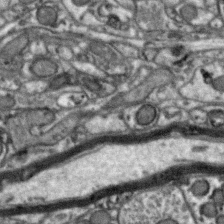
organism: Zebra finch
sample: Brain